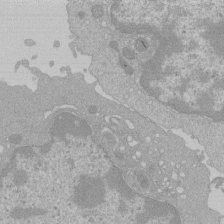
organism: Mouse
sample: Activated Pmel transgenic CD8+ T Cells